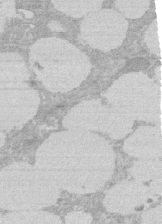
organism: Rat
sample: Salivary granule